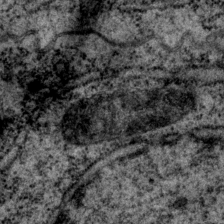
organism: P. pacificus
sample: Pharynx